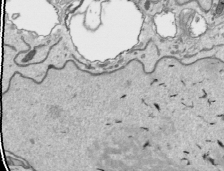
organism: Human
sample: Mitochondria in HCT116 cells